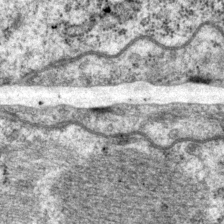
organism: P. pacificus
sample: Pharynx